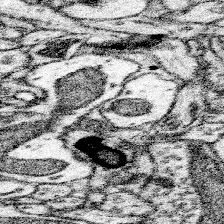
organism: Mouse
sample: Somatosensory cortex neuropil